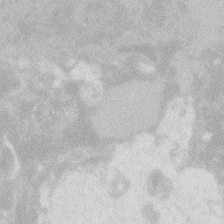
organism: Zebrafish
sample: Macrophage